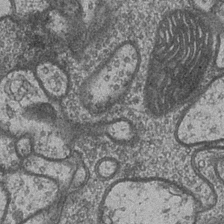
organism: Drosophila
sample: Optic medulla